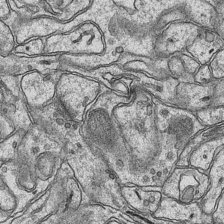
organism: Mouse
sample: CA1 Hippocampus